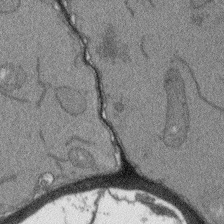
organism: Arabidopsis thaliana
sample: Root tip